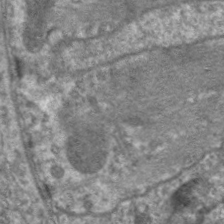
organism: C. elegans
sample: Pharynx